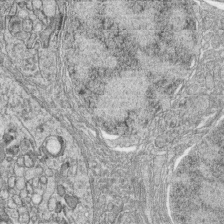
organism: Zebrafish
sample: synaptic ribbons in rod cells and cone cells